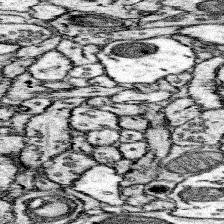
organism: Mouse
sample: Somatosensory cortex neuropil